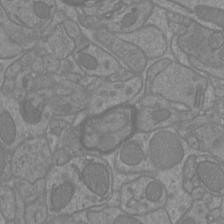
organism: Mouse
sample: Cortical neurons